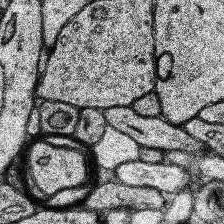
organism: Human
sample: Temporal Lobe